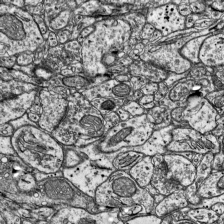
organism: Mouse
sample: Visual Cortex